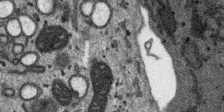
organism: Human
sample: Lung epithelial cells infected with SARS-CoV-2